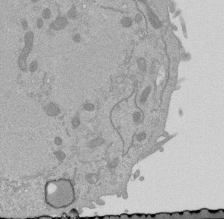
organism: Mouse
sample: ED-1 cell nuclei; centrioles